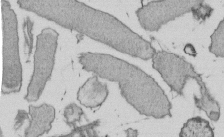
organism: E. coli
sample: Bacterial nucleoid